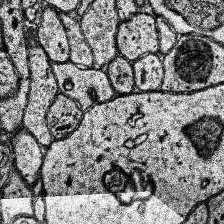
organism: Human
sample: Temporal Lobe